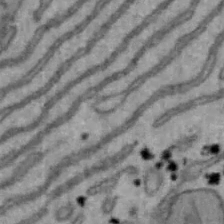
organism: Mouse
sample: Liver